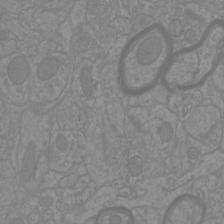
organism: Mouse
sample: Cortical neurons